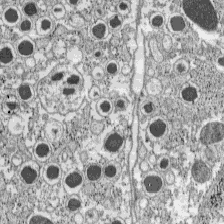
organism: C57BL Mouse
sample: Pancreatic islet